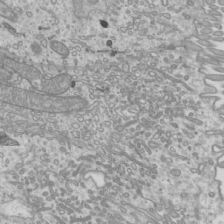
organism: Mouse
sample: Cilia; mouse epididymis